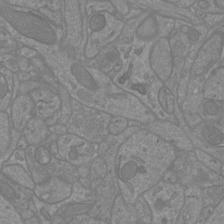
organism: Mouse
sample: Cortical neurons